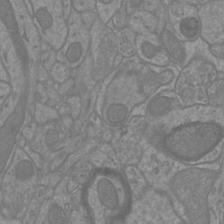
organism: Mouse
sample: Cortical neurons